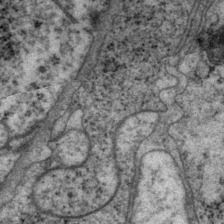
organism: P. pacificus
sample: Pharynx